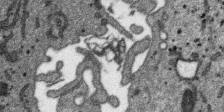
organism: Human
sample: Lung epithelial cells infected with SARS-CoV-2